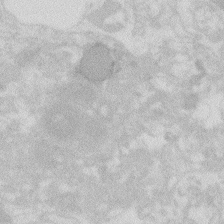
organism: Zebrafish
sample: Macrophage